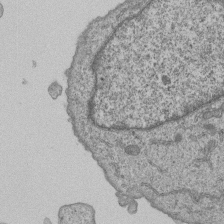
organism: Human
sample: MDA-MB-231 cells